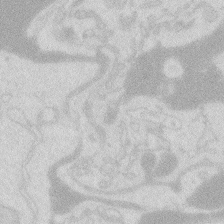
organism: Zebrafish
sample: Macrophage